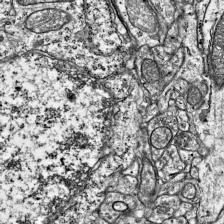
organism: Mouse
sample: Visual Cortex